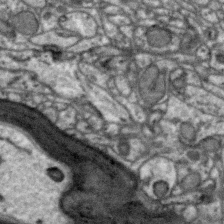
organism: Zebra finch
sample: Brain